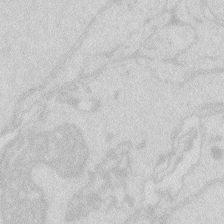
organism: Zebrafish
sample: Macrophage